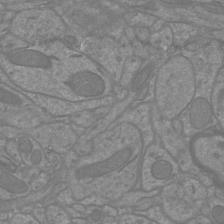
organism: Mouse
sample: Cortical neurons